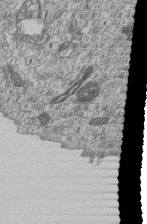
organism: Human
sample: MDA-MB-231 cells